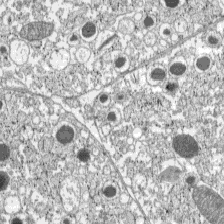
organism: C57BL Mouse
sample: Pancreatic islet